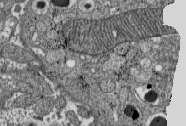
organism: C57BL Mouse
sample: Pancreatic islet